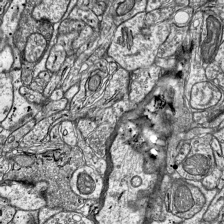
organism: Mouse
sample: Visual Cortex